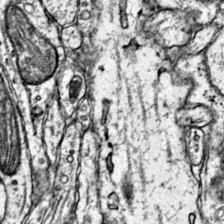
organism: Mouse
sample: Primary visual cortex